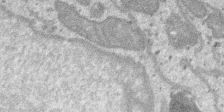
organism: Human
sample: Lung epithelial cells infected with SARS-CoV-2